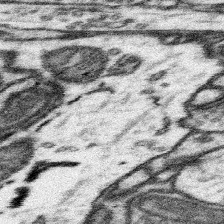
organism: Mouse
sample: Somatosensory cortex neuropil